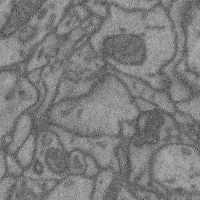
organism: Mouse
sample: Cerebral cortex